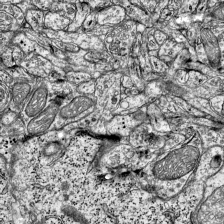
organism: Mouse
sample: Visual Cortex